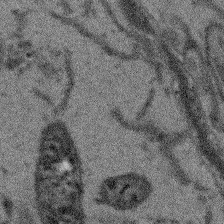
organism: Arabidopsis thaliana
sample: Root tip